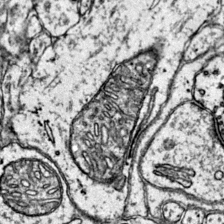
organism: Mouse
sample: Primary visual cortex